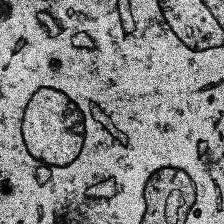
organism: Human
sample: Temporal Lobe